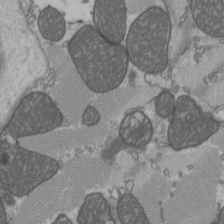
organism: C57BL Mouse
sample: Heart